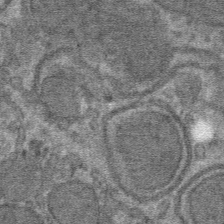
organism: Mouse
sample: Mouse hepatocytes